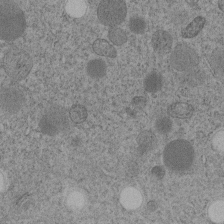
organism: C. elegans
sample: C. elegans embryo early stage